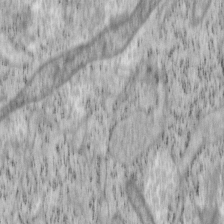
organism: Human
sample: HeLa cells